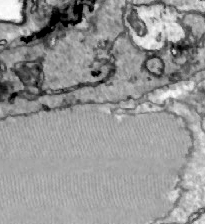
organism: Zebrafish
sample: Actinotrichia fibers